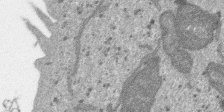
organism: Human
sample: Lung epithelial cells infected with SARS-CoV-2